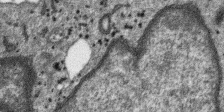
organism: Human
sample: Lung epithelial cells infected with SARS-CoV-2